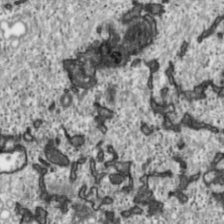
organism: Toxoplasma gondii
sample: Parasites in a vacuole inside a host cell